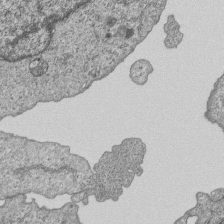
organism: Human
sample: MDA-MB-231 cells